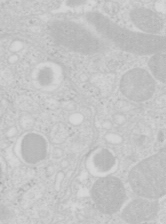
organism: Mouse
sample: Pancreas